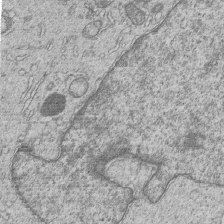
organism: Human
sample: MDA-MB-231 cells